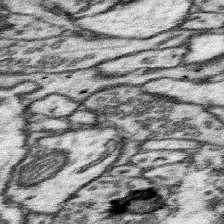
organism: Mouse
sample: Somatosensory cortex neuropil